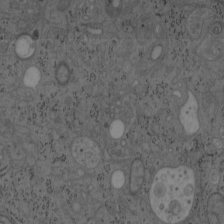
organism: Mouse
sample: OT-I killer T cells with ID8 ovarian cancer cells